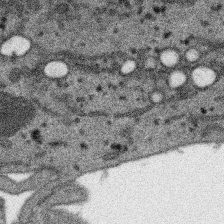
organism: Human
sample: Lung epithelial cells infected with SARS-CoV-2